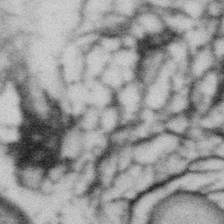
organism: Gemmata obscuriglobus